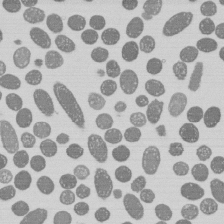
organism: E. coli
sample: Bacterial nucleoid